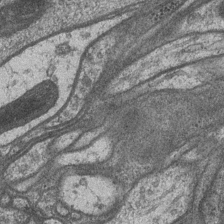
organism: Drosophila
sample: Optic medulla